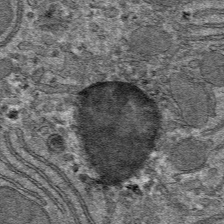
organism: Mouse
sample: Mouse hepatocytes